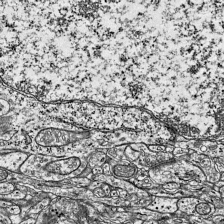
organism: Mouse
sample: Visual Cortex